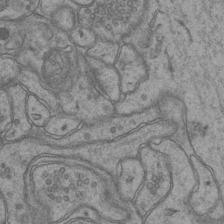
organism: Mouse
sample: CA1 Hippocampus